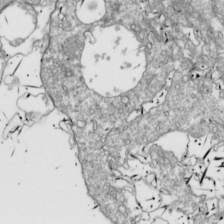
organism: Drosophila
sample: Cell division; meiosis; drosophila spermatocytes